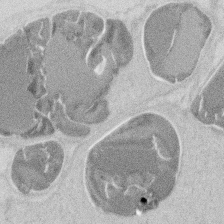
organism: Mouse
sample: T cell stromal cell synapse